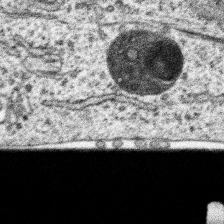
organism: Human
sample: HeLa cells